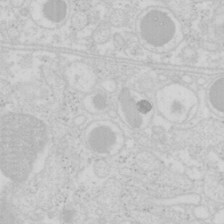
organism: Mouse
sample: Pancreas